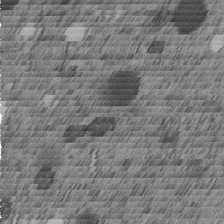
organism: C. elegans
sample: C. elegans embryo early stage